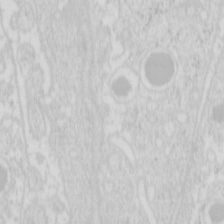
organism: Mouse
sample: Pancreas